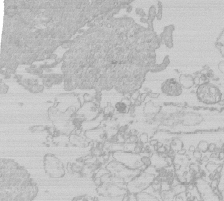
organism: Human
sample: Macrophage cells